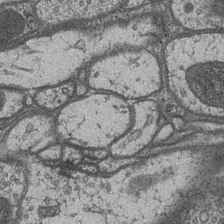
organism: Drosophila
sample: Optic medulla